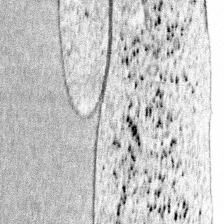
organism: Human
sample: HeLa cells